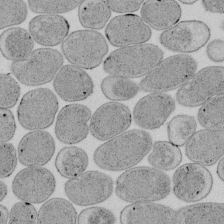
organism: E. coli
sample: Bacterial nucleoid